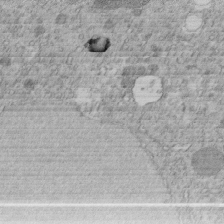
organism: C. elegans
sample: C. elegans embryo early stage